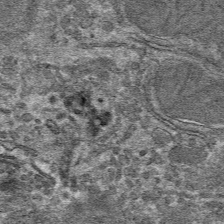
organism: Mouse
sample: Mouse hepatocytes